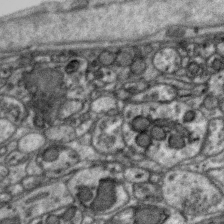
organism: Zebra finch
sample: Brain